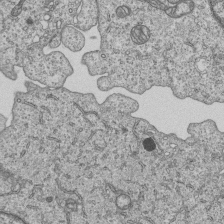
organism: Human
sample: MDA-MB-231 cells